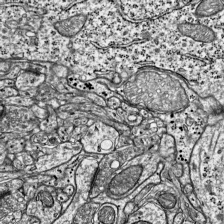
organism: Mouse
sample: Visual Cortex